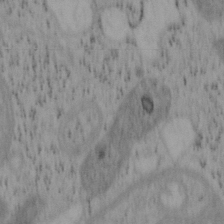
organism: Mouse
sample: OT-I killer T cells with ID8 ovarian cancer cells